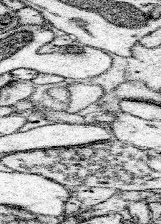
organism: Mouse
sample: Somatosensory cortex neuropil